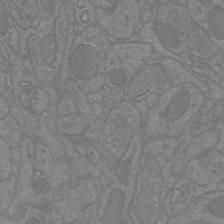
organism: Mouse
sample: Cortical neurons